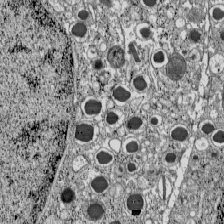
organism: C57BL Mouse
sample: Pancreatic islet